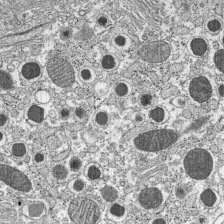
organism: C57BL Mouse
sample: Pancreatic islet